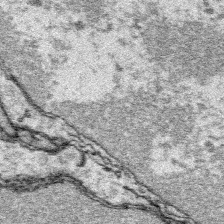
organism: Platynereis dumerilii